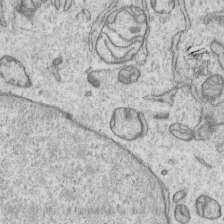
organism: Human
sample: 1205lu cells